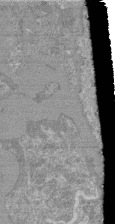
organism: Mouse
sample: Glomerulus